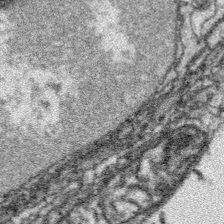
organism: Platynereis dumerilii